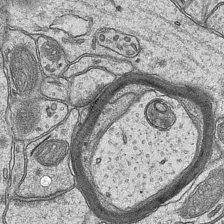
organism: Mouse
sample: CA1 Hippocampus